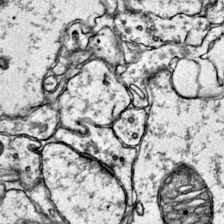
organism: Mouse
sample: Primary visual cortex